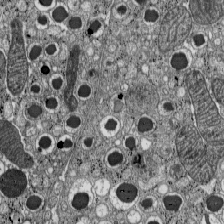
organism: C57BL Mouse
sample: Pancreatic islet